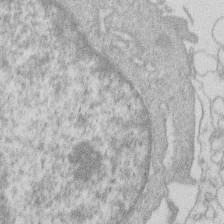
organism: Human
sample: Macrophage cells